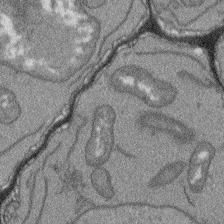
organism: Arabidopsis thaliana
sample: Root tip